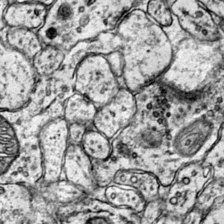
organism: Mouse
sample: Primary visual cortex